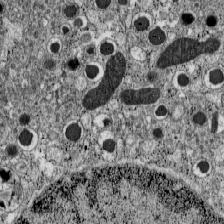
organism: C57BL Mouse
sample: Pancreatic islet